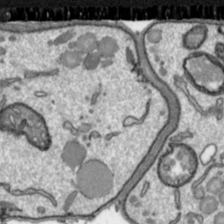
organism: Toxoplasma gondii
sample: Parasites in a vacuole inside a host cell